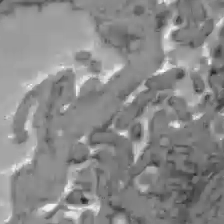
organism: C57BL Mouse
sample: Liver